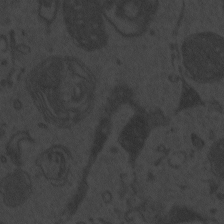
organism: Zebrafish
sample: Macrophage infected with Toxoplasma gondii